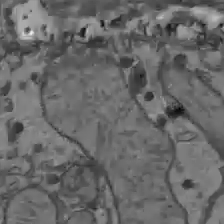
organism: C57BL Mouse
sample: Liver